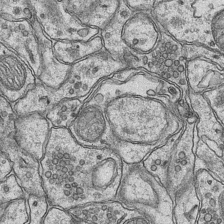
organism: Mouse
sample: CA1 Hippocampus